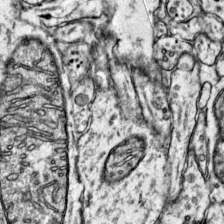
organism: Mouse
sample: Primary visual cortex